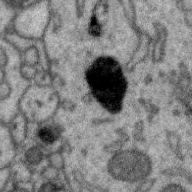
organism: Zebra finch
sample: Brain